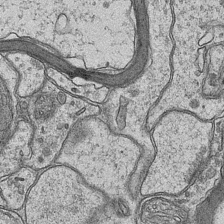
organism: Mouse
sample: CA1 Hippocampus